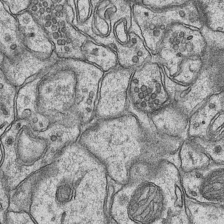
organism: Mouse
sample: CA1 Hippocampus